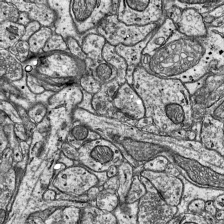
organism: Mouse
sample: Visual Cortex